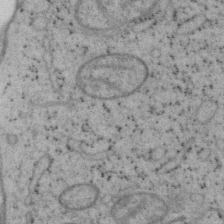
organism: Human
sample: HeLa cells